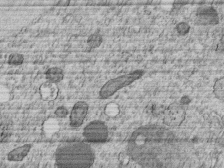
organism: C. elegans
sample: C. elegans embryo early stage